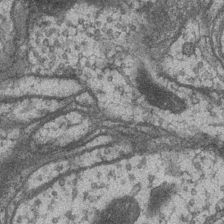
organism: Drosophila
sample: Optic medulla